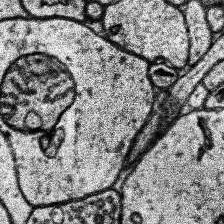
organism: Human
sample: Temporal Lobe